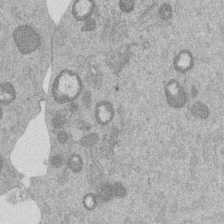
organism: Mouse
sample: Dividing mouse embryo 1 cell stage